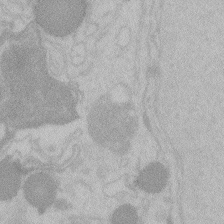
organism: Zebrafish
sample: Macrophage infected with Toxoplasma gondii